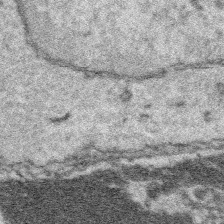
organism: Platynereis dumerilii